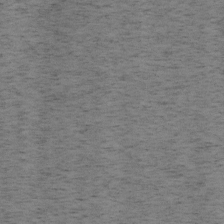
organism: Mouse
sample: OT-I killer T cells with ID8 ovarian cancer cells